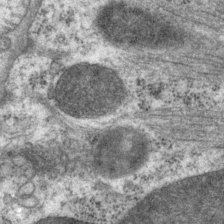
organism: P. pacificus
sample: Pharynx